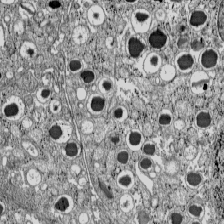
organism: C57BL Mouse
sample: Pancreatic islet